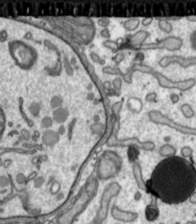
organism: Toxoplasma gondii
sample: Parasites in a vacuole inside a host cell